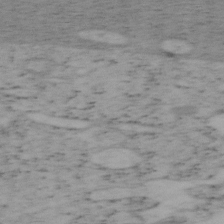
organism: Mouse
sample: OT-I killer T cells with ID8 ovarian cancer cells